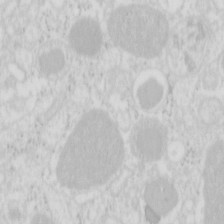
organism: Mouse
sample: Pancreas